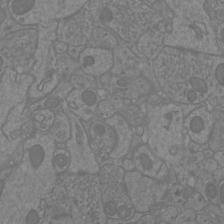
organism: Mouse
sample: Cortical neurons